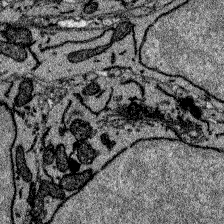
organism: Zebrafish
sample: Larval olfactory bulb